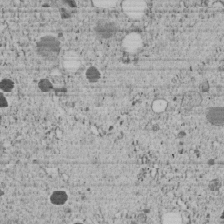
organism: C. elegans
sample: C. elegans embryo early stage